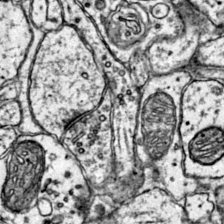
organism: Mouse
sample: Primary visual cortex